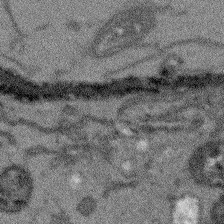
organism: Arabidopsis thaliana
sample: Root tip